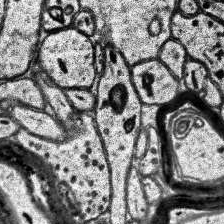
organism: Human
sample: Temporal Lobe